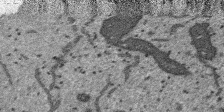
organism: Human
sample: Lung epithelial cells infected with SARS-CoV-2